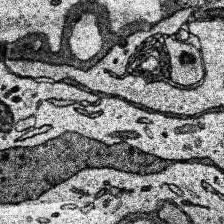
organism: Human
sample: Temporal Lobe